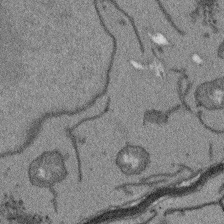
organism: Arabidopsis thaliana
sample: Root tip